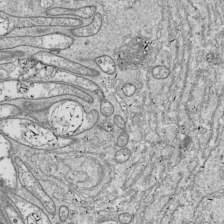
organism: Drosophila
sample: Cell division; meiosis; drosophila spermatocytes